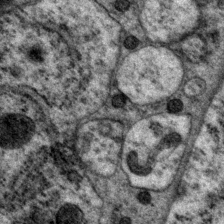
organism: P. pacificus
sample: Pharynx